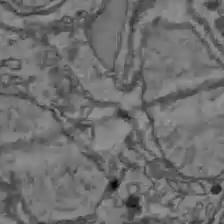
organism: C57BL Mouse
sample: Liver